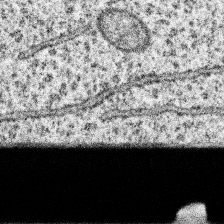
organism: Human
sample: HeLa cells